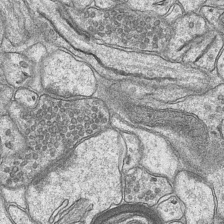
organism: Mouse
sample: CA1 Hippocampus